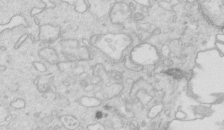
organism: Mouse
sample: Multiciliated cells